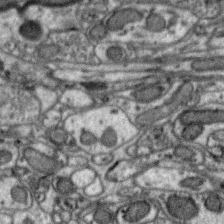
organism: Zebra finch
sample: Brain